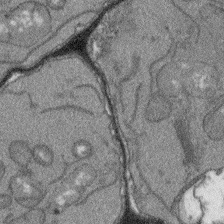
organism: Arabidopsis thaliana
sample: Root tip